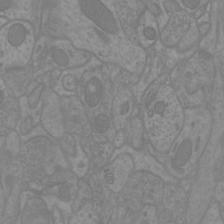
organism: Mouse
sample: Cortical neurons